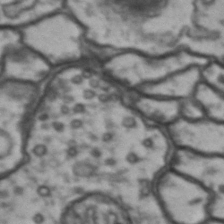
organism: Drosophila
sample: Brain